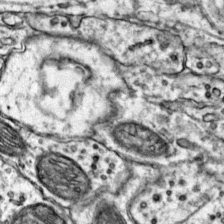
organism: Mouse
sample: Primary visual cortex